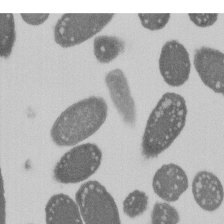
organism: E. coli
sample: Bacterial nucleoid